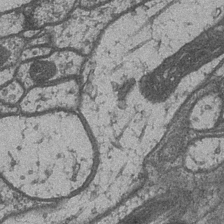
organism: Drosophila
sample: Optic medulla